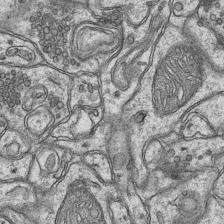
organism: Mouse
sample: CA1 Hippocampus